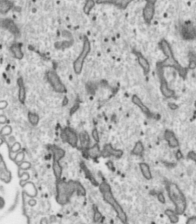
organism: Toxoplasma gondii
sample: Parasites in a vacuole inside a host cell